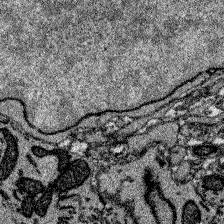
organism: Zebrafish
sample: Larval olfactory bulb